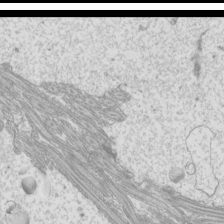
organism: Mouse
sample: Cilia; mouse epididymis